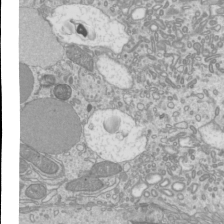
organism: Mouse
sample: Cilia; mouse epididymis